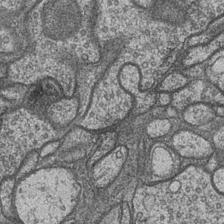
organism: Drosophila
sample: Optic medulla